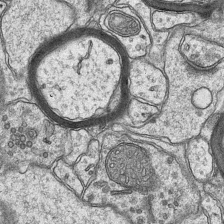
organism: Mouse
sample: CA1 Hippocampus